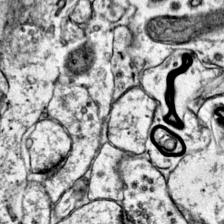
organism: Mouse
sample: Primary visual cortex